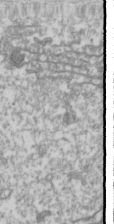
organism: Drosophila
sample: Cell division; meiosis; drosophila spermatocytes